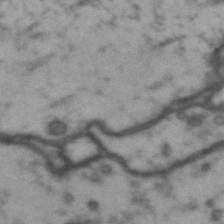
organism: Drosophila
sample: Brain